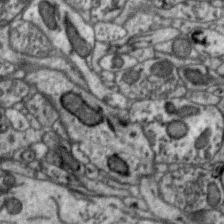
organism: Zebra finch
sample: Brain